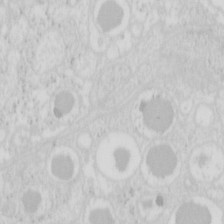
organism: Mouse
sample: Pancreas